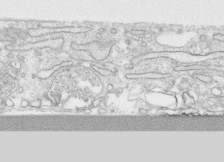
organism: Human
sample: CRL-1474